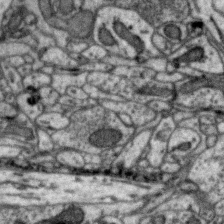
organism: Zebra finch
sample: Brain